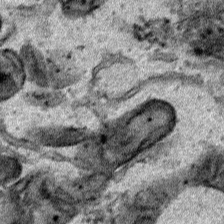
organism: Human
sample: Mitochondria in HCT116 cells